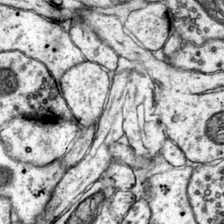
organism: Mouse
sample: Primary visual cortex